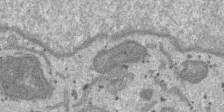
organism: Human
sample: Lung epithelial cells infected with SARS-CoV-2